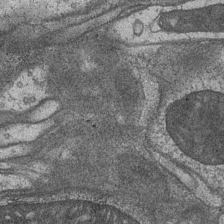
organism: Drosophila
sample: Optic medulla